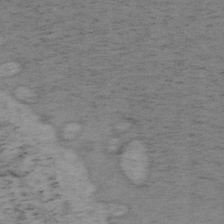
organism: Mouse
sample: OT-I killer T cells with ID8 ovarian cancer cells